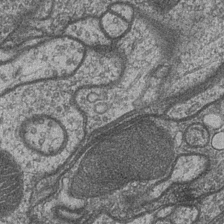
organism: Drosophila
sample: Optic medulla